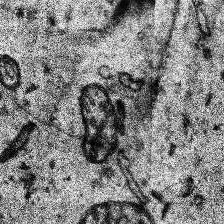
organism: Human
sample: Temporal Lobe